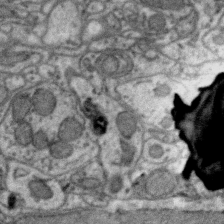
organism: Zebra finch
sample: Brain